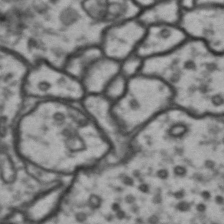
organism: Drosophila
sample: Brain